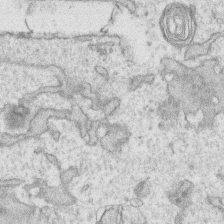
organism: Human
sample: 1205lu cells